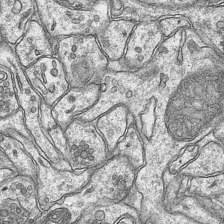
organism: Mouse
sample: CA1 Hippocampus